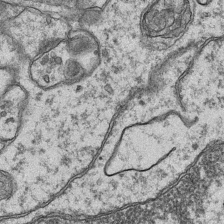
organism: Mouse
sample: CA1 Hippocampus